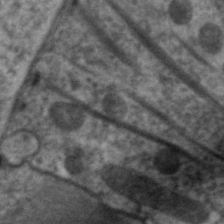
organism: C. elegans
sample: Pharynx